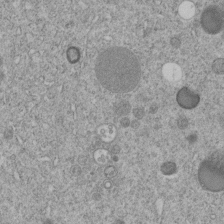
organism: C. elegans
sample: C. elegans embryo early stage